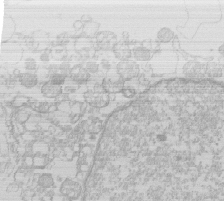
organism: Human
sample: Macrophage cells